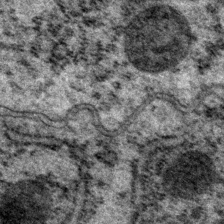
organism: P. pacificus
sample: Pharynx